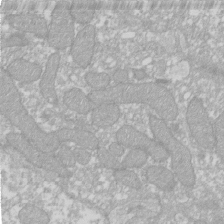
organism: Xenopus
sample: Cilia; centrioles in frog embryo cells